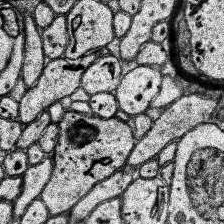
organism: Human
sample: Temporal Lobe